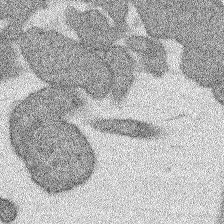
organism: Human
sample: HeLa cells